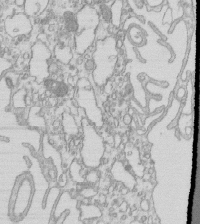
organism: Mouse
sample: Macrophages